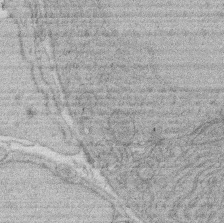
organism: Rat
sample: Salivary granule